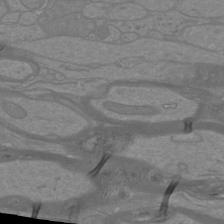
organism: Mouse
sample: Cortical neurons